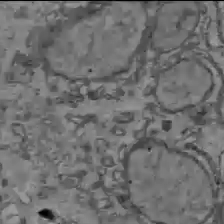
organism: C57BL Mouse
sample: Liver